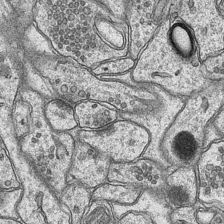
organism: Mouse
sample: CA1 Hippocampus